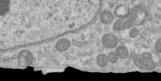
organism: Human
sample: Centriole in RPE cells